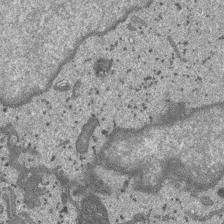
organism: Human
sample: Lung epithelial cells infected with SARS-CoV-2